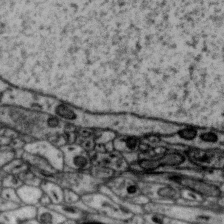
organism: Zebra finch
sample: Brain